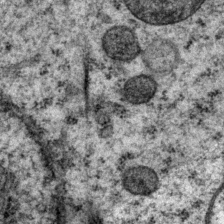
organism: P. pacificus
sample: Pharynx